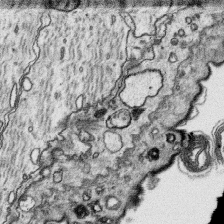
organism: Platynereis dumerilii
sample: Parapodia